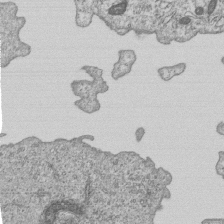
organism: Human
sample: MDA-MB-231 cells